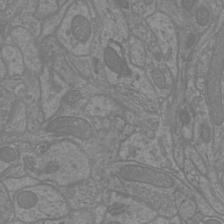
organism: Mouse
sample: Cortical neurons